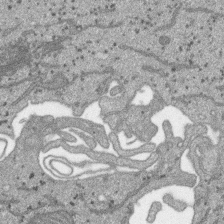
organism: Human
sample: Lung epithelial cells infected with SARS-CoV-2